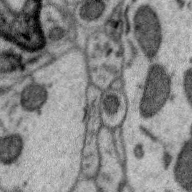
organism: Zebra finch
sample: Brain